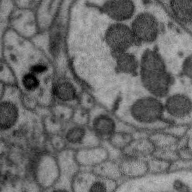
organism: Zebra finch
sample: Brain